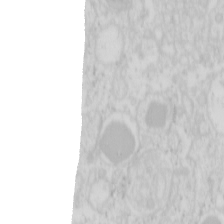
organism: Mouse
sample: Pancreas